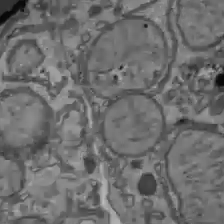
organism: C57BL Mouse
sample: Liver